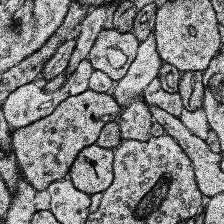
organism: Human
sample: Temporal Lobe